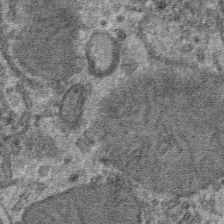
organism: Mouse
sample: Mouse hepatocytes